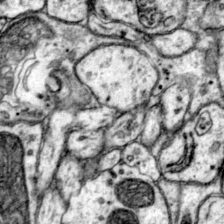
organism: Mouse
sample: Primary visual cortex